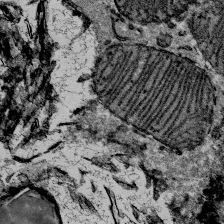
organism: Mouse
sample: Mouse Salivary gland